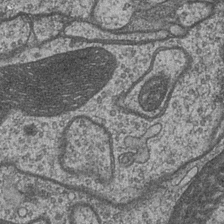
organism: Drosophila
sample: Optic medulla